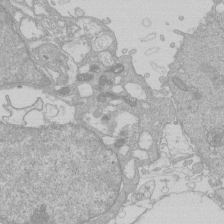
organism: Human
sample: Macrophage cells